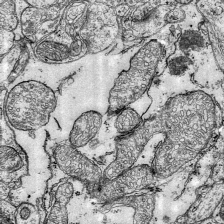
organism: Mouse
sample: Visual Cortex